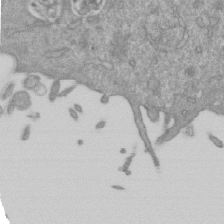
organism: Mouse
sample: ED-1 cell nuclei; centrioles